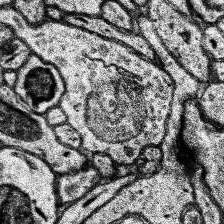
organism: Human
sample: Temporal Lobe